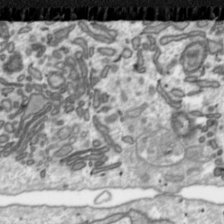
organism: Toxoplasma gondii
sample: Parasites in a vacuole inside a host cell